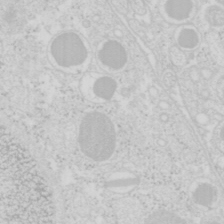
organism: Mouse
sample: Pancreas